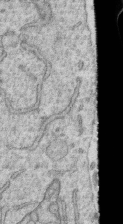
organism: Human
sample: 1205lu cells